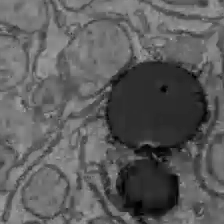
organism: C57BL Mouse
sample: Liver